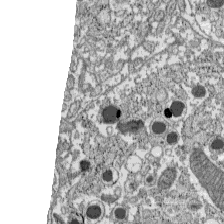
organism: C57BL Mouse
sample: Pancreatic islet